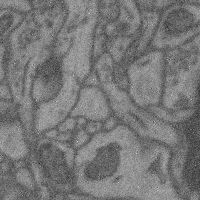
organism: Mouse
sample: Cerebral cortex